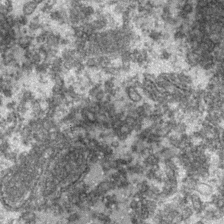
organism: Zebrafish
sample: Zebrafish embryo